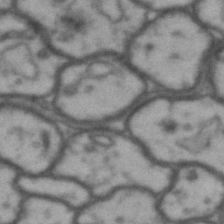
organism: Drosophila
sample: Brain